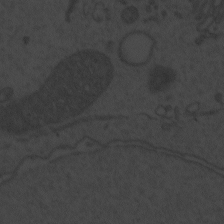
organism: Zebrafish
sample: Macrophage infected with Toxoplasma gondii